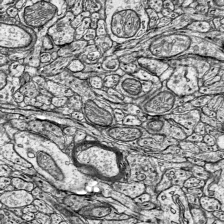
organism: Mouse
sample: Visual Cortex